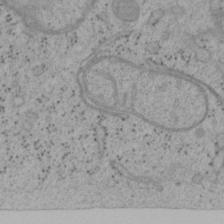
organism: Human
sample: HeLa cells